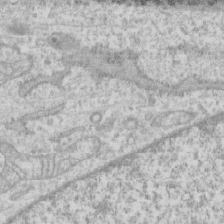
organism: Human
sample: CRL-1474